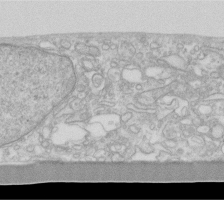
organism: Human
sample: Fibroblast cells